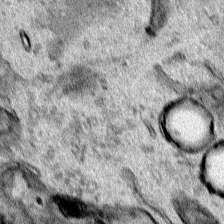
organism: Human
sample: Mitochondria in HCT116 cells